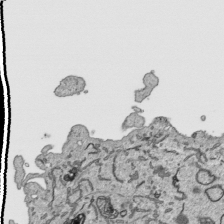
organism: Human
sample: Mitochondria in HCT116 cells